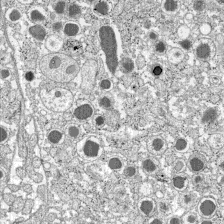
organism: C57BL Mouse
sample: Pancreatic islet